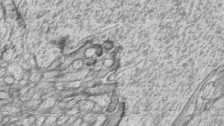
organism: Zebrafish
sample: synaptic ribbons in rod cells and cone cells